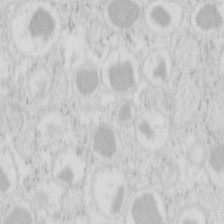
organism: Mouse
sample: Pancreas